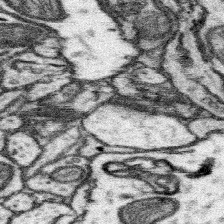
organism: Mouse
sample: Somatosensory cortex neuropil